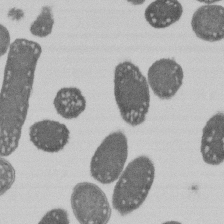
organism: E. coli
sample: Bacterial nucleoid